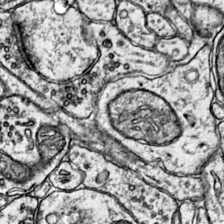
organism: Mouse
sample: Primary visual cortex